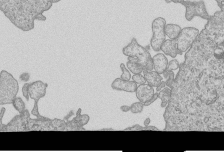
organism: Human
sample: MDA-MB-231 cells